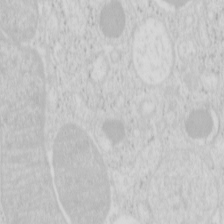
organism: Mouse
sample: Pancreas